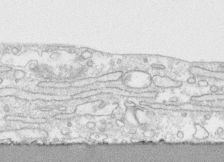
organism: Human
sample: CRL-1474